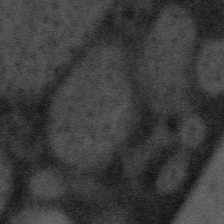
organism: Tuwongella immobilis